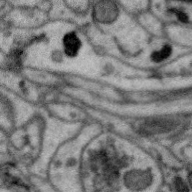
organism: Zebra finch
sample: Brain